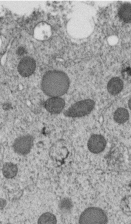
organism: C. elegans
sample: C. elegans embryo early stage